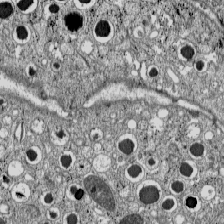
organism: C57BL Mouse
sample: Pancreatic islet